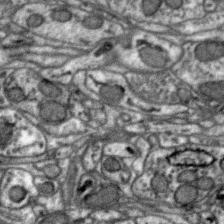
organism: Zebra finch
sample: Brain